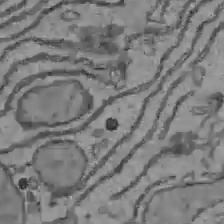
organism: C57BL Mouse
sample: Liver